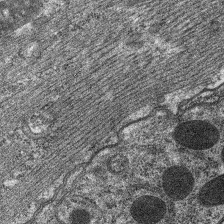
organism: C. elegans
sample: Pharynx